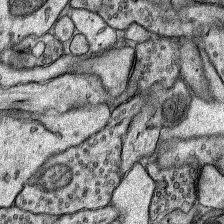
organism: Rat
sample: Hippocampus